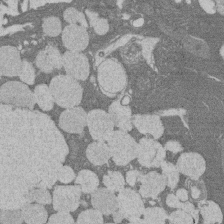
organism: Rat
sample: Salivary granule